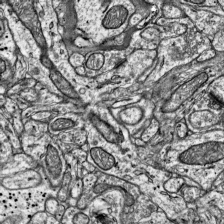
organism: Mouse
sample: Visual Cortex